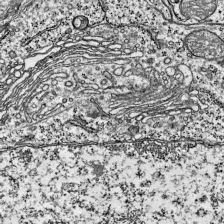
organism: Mouse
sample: Visual Cortex